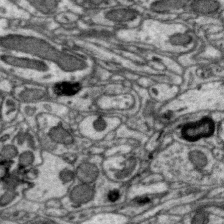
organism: Zebra finch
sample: Brain